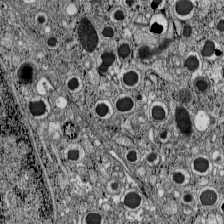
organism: C57BL Mouse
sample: Pancreatic islet